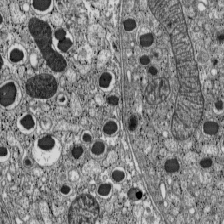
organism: C57BL Mouse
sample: Pancreatic islet